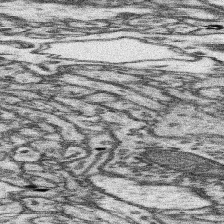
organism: Mouse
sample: Somatosensory cortex neuropil